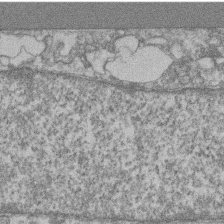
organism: Mouse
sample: T cell stromal cell synapse